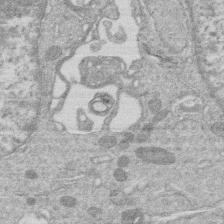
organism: Human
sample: Macrophage cells